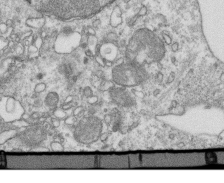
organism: Mouse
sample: Activated OT-1 CD8+ T cells